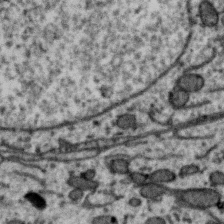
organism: Zebra finch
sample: Brain